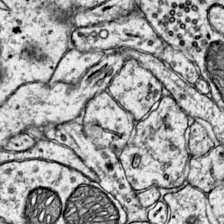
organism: Mouse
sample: Primary visual cortex